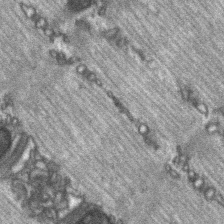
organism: C57BL Mouse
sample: Soleus